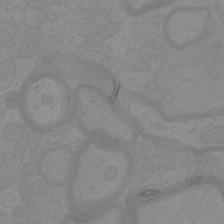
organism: Mouse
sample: Cortical neurons